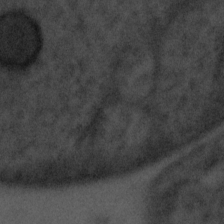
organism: Tuwongella immobilis